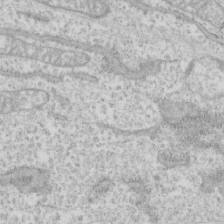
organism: Human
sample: CRL-1474